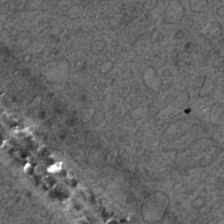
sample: Trachea